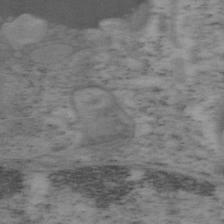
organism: Mouse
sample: OT-I killer T cells with ID8 ovarian cancer cells